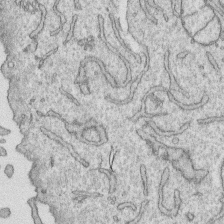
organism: Human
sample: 1205lu cells